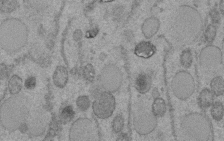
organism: C. elegans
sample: C. elegans embryo early stage